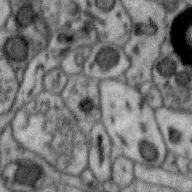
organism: Zebra finch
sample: Brain